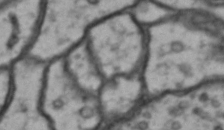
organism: Drosophila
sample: Brain